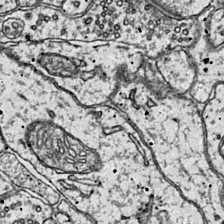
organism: Mouse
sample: Primary visual cortex